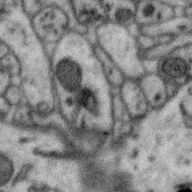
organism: Zebra finch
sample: Brain